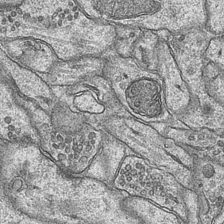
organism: Mouse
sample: CA1 Hippocampus